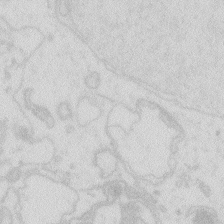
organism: Zebrafish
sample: Macrophage